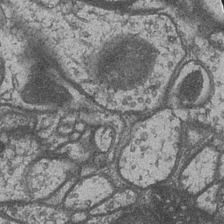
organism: Drosophila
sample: Optic medulla